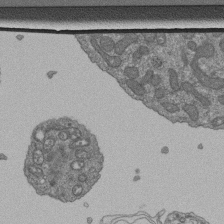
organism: Human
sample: Retinal organoid Rod and Cone cells